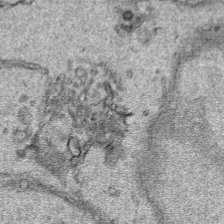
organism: Human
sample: Mitochondria in HCT116 cells